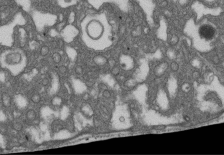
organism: Drosophila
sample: Nephrocyte